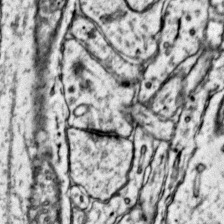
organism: Mouse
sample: Primary visual cortex